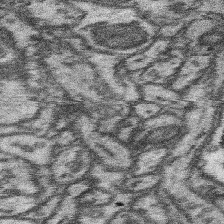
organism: Mouse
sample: Somatosensory cortex neuropil